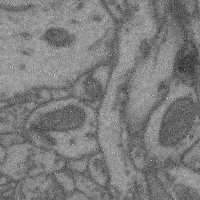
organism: Mouse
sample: Cerebral cortex